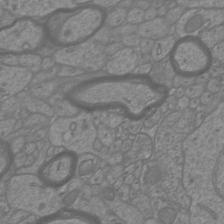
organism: Mouse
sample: Cortical neurons